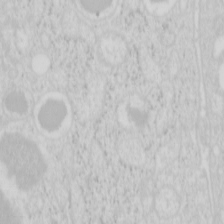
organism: Mouse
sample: Pancreas